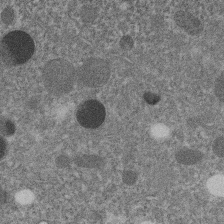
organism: C. elegans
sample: C. elegans embryo early stage